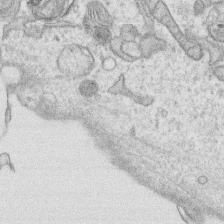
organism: Human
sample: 1205lu cells